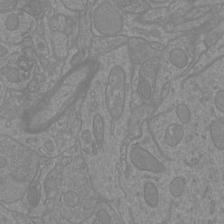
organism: Mouse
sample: Cortical neurons